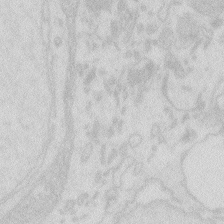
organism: Zebrafish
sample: Macrophage